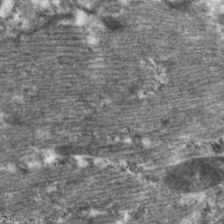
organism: C. elegans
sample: Pharynx